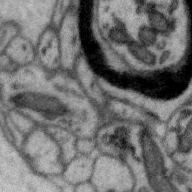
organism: Zebra finch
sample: Brain